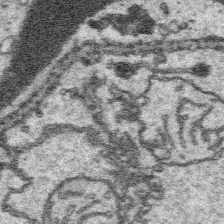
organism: Platynereis dumerilii